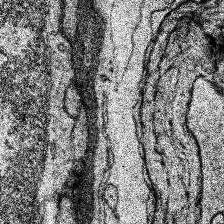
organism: Human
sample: Temporal Lobe